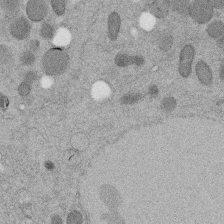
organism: C. elegans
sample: C. elegans embryo early stage